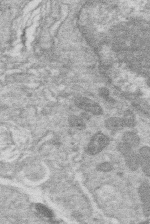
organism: Human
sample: Macrophage cells